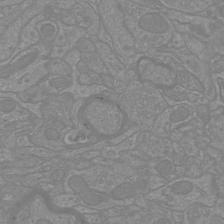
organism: Mouse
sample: Cortical neurons